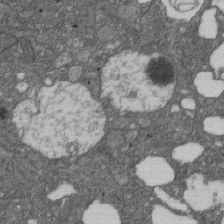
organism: Drosophila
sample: Nephrocyte